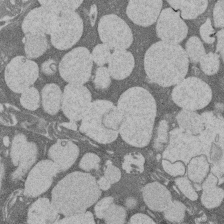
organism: Rat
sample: Salivary granule